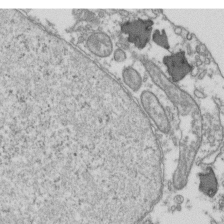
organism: Human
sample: Activated Jurkat CD4+ T cells